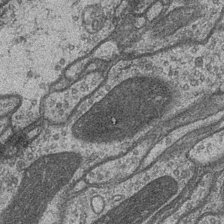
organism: Drosophila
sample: Optic medulla